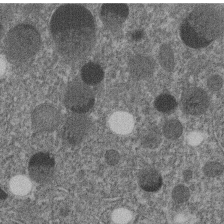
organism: C. elegans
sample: C. elegans embryo early stage